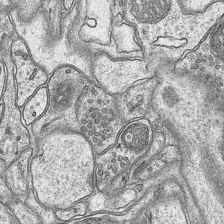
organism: Mouse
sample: CA1 Hippocampus